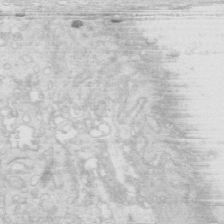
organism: Mouse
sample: Multiciliated cells